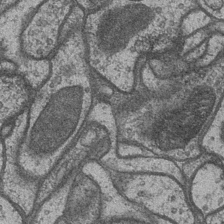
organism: Drosophila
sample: Optic medulla